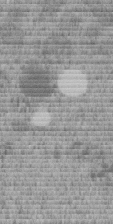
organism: C. elegans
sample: C. elegans embryo early stage